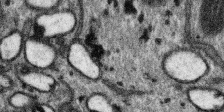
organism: Human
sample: Lung epithelial cells infected with SARS-CoV-2